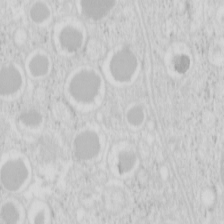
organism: Mouse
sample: Pancreas